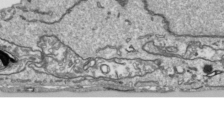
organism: Human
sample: Mitochondria in HCT116 cells